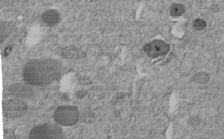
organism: C. elegans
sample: C. elegans embryo early stage